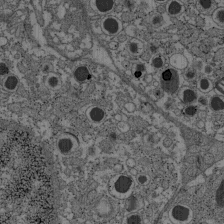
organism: C57BL Mouse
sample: Pancreatic islet